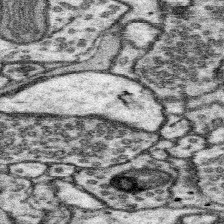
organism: Mouse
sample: Somatosensory cortex neuropil